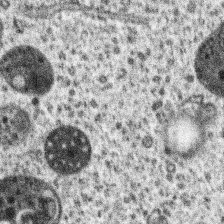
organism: Human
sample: HeLa cells